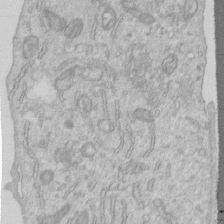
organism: Human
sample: Centriole in RPE cells